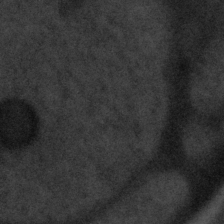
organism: Tuwongella immobilis